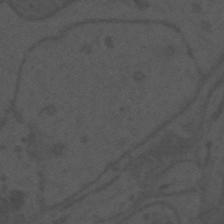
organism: Mouse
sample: Suprachiasmatic nucleus